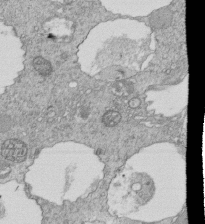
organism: Tetrahymena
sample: Cilia in tetrahymena